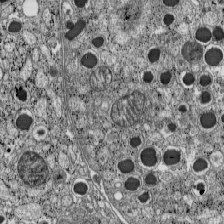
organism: C57BL Mouse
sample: Pancreatic islet